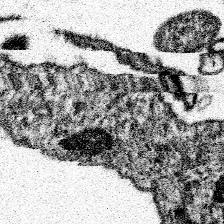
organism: Spongilla lacustris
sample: Neuroid cell